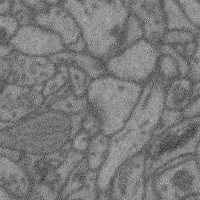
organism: Mouse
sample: Cerebral cortex